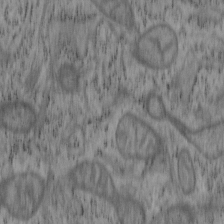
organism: Human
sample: HeLa cells